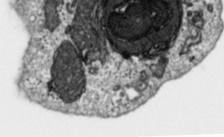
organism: Toxoplasma gondii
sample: Parasites in a vacuole inside a host cell